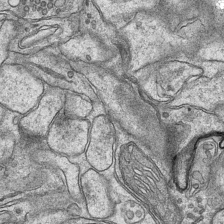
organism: Mouse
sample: CA1 Hippocampus